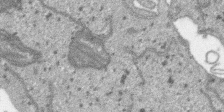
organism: Human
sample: Lung epithelial cells infected with SARS-CoV-2